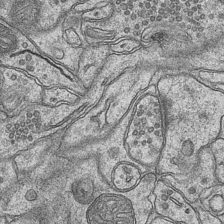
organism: Mouse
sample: CA1 Hippocampus